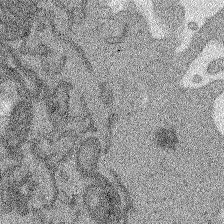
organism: Human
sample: HeLa cells